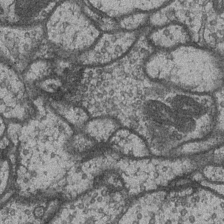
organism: Drosophila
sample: Optic medulla